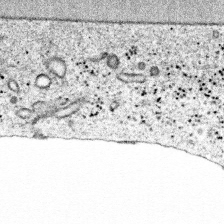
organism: Human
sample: HeLa cells